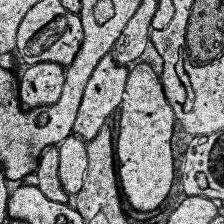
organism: Human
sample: Temporal Lobe